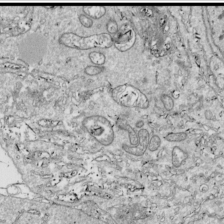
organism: Drosophila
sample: Cell division; meiosis; drosophila spermatocytes